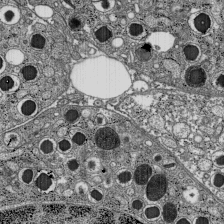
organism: C57BL Mouse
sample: Pancreatic islet